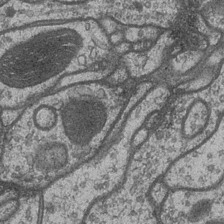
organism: Drosophila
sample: Optic medulla